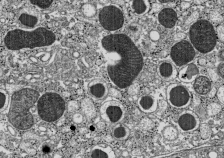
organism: C57BL Mouse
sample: Pancreatic islet